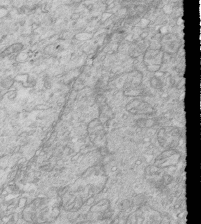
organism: Mouse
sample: Multiciliated cells